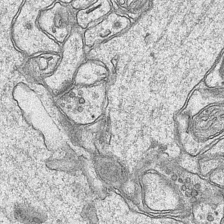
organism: Mouse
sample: CA1 Hippocampus